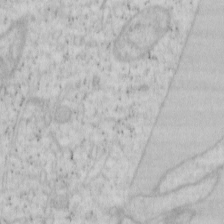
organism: Human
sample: HeLa cells